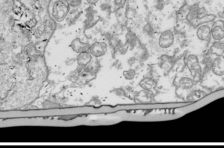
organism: Drosophila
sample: Cell division; meiosis; drosophila spermatocytes